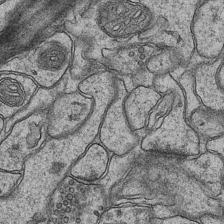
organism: Mouse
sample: CA1 Hippocampus